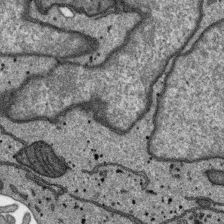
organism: Human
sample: Lung epithelial cells, uninfected (mock) control